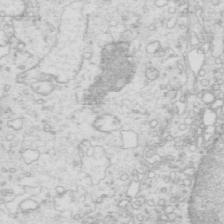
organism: Mouse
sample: Multiciliated cells